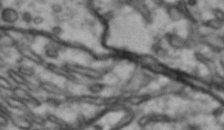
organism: Drosophila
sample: Brain